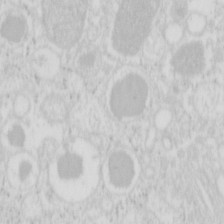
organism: Mouse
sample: Pancreas